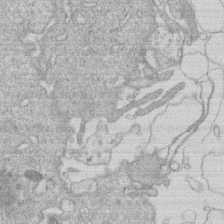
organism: Human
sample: Macrophage cells